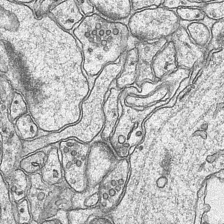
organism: Mouse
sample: CA1 Hippocampus